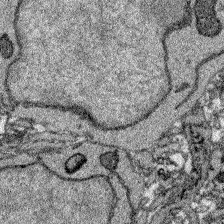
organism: Zebrafish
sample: Larval olfactory bulb